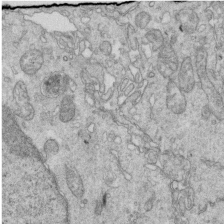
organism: Mouse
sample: Multiciliated cells